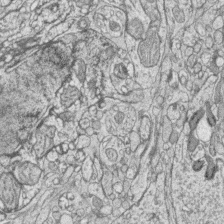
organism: Zebrafish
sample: synaptic ribbons in rod cells and cone cells